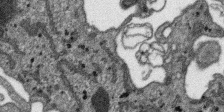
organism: Human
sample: Lung epithelial cells infected with SARS-CoV-2